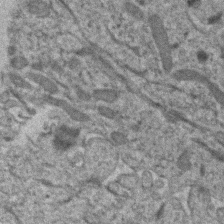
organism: Human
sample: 1205lu cells